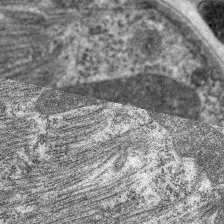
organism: C. elegans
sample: Pharynx